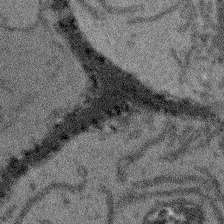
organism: Arabidopsis thaliana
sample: Root tip